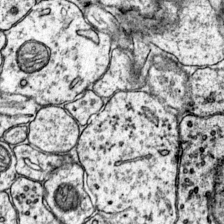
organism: Mouse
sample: Primary visual cortex